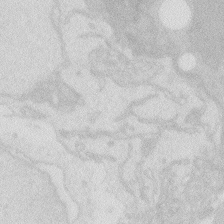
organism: Zebrafish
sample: Macrophage